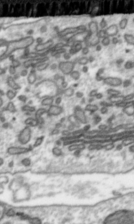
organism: Toxoplasma gondii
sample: Parasites in a vacuole inside a host cell